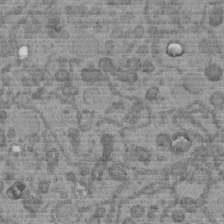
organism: C. elegans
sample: C. elegans embryo early stage